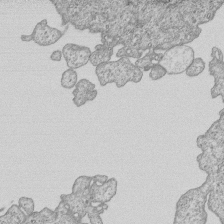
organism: Human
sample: MDA-MB-231 cells